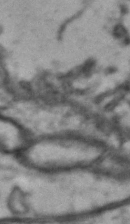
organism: Drosophila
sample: Brain